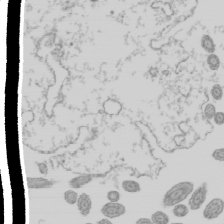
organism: Mouse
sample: Cilia; mouse epididymis